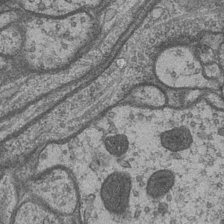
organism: Drosophila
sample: Optic medulla